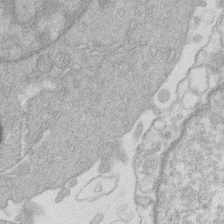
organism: Human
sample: Macrophage cells